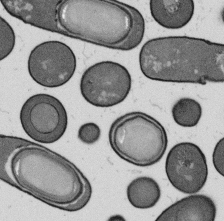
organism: B. subtilis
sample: Bacterial spore